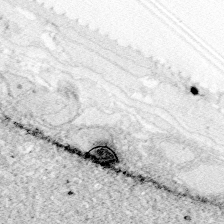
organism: Zebrafish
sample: Whole-Brain